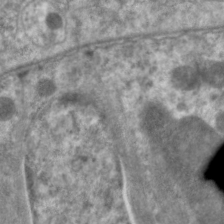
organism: C. elegans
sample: Pharynx